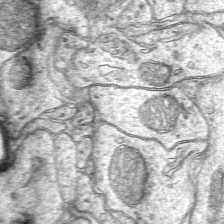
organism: Mouse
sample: CA1 Hippocampus